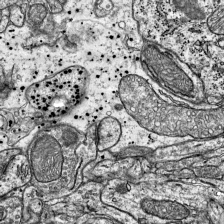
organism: Mouse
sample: Visual Cortex